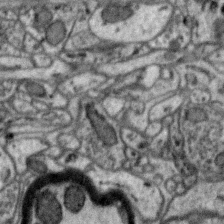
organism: Zebra finch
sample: Brain